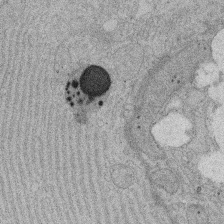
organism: Rat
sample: Salivary granule